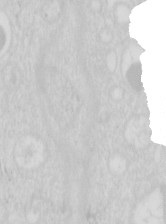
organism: Mouse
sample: Pancreas